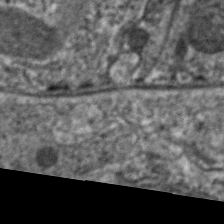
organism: C. elegans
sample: Pharynx